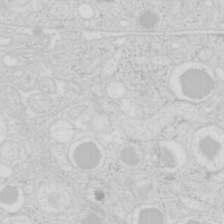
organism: Mouse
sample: Pancreas